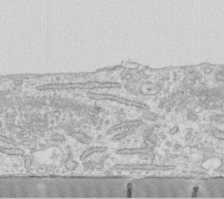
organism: Human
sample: Fibroblast cells